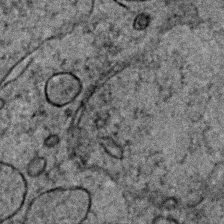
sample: Trachea